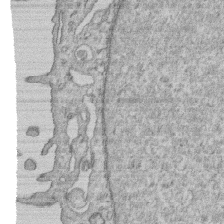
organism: Human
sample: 1205lu cells